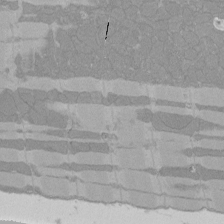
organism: Rat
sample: Left ventricle